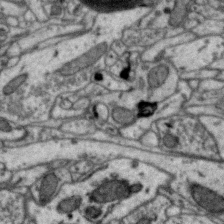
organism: Zebra finch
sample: Brain